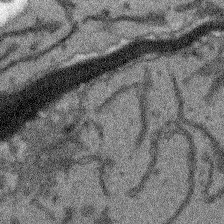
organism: Arabidopsis thaliana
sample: Root tip